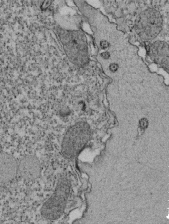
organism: Tetrahymena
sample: Cilia in tetrahymena